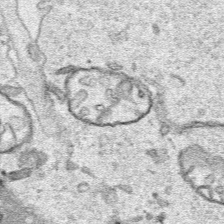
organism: Human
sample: Mitochondria in HCT116 cells